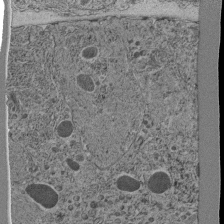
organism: C. elegans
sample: C. elegans pharynx